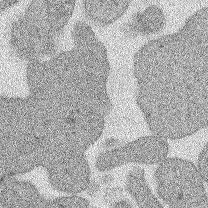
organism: Human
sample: HeLa cells